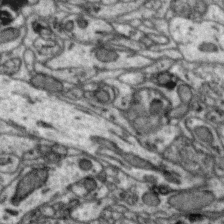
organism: Zebra finch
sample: Brain